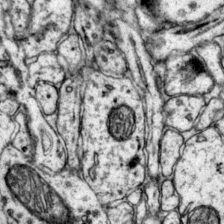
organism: Mouse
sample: Primary visual cortex